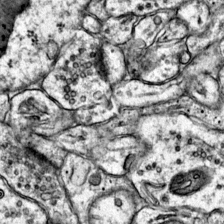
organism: Mouse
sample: Primary visual cortex